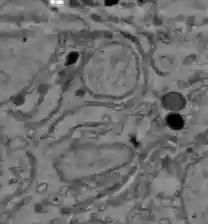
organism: C57BL Mouse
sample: Liver